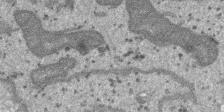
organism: Human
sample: Lung epithelial cells infected with SARS-CoV-2